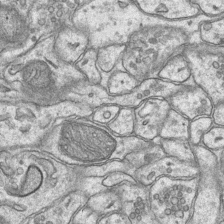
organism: Mouse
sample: CA1 Hippocampus